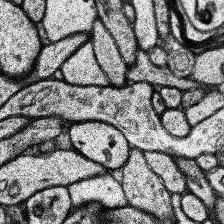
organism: Human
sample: Temporal Lobe